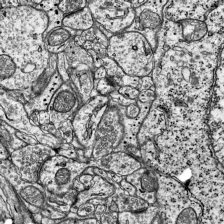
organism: Mouse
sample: Visual Cortex